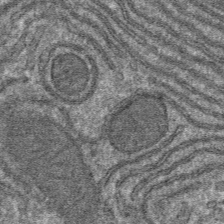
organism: Mouse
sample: Mouse hepatocytes